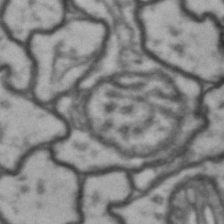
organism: Drosophila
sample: Brain